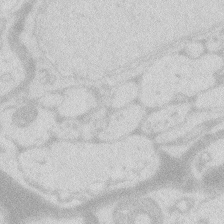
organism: Zebrafish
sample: Macrophage